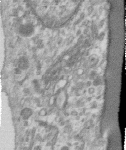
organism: Human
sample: Centriole in RPE cells